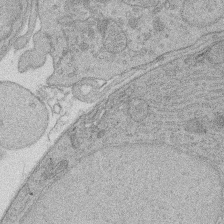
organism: Rat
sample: Salivary granule